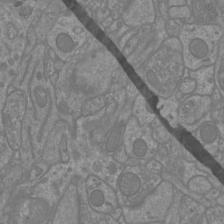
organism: Mouse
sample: Cortical neurons